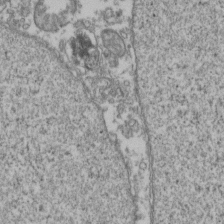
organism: Human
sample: Activated Jurkat CD4+ T cells